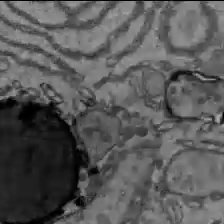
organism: C57BL Mouse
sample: Liver